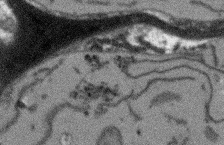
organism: Arabidopsis thaliana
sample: Root tip